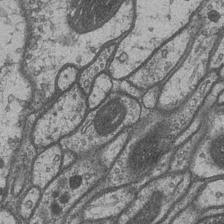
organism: Drosophila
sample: Optic medulla